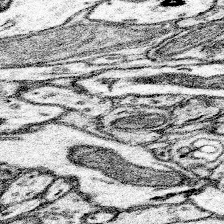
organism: Mouse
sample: Somatosensory cortex neuropil